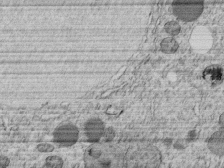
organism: C. elegans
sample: C. elegans embryo early stage